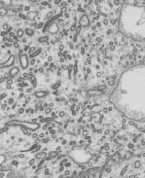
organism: Mouse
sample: Mouse epididymis efferent ductule cilia